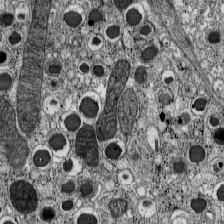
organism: C57BL Mouse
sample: Pancreatic islet